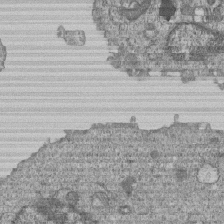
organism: Human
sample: MDA-MB-231 cells